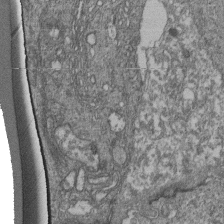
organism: Human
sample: Retinal organoid Rod and Cone cells